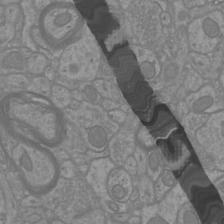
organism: Mouse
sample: Cortical neurons